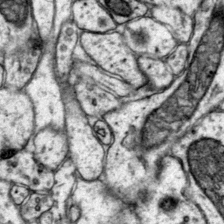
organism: Mouse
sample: Primary visual cortex